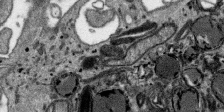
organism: Human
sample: Lung epithelial cells, uninfected (mock) control